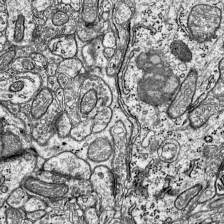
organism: Mouse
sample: Visual Cortex